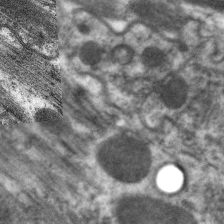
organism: C. elegans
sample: Pharynx